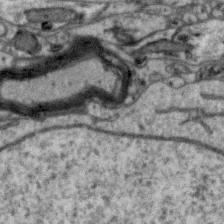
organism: Zebra finch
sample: Brain